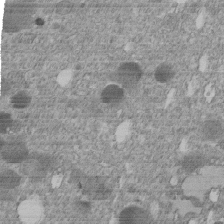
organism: C. elegans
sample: C. elegans embryo early stage